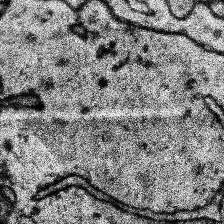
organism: Human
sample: Temporal Lobe